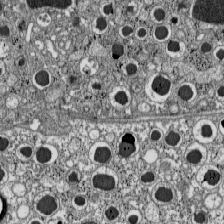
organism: C57BL Mouse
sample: Pancreatic islet